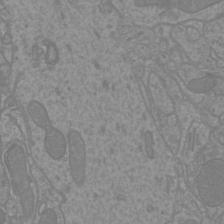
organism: Mouse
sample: Cortical neurons